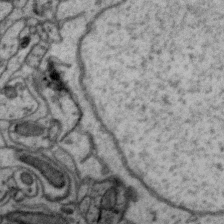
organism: Zebra finch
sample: Brain